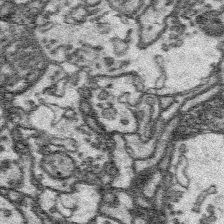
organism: Platynereis dumerilii